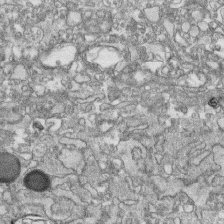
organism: Human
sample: CRL-1474